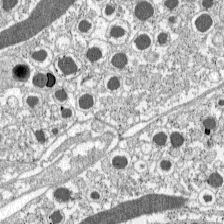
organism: C57BL Mouse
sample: Pancreatic islet